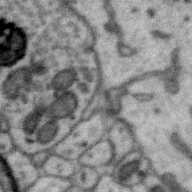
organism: Zebra finch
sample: Brain